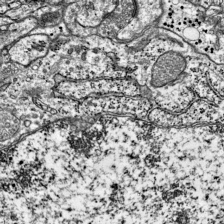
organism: Mouse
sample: Visual Cortex